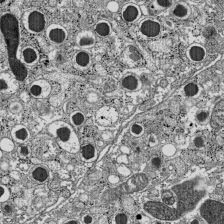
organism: C57BL Mouse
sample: Pancreatic islet